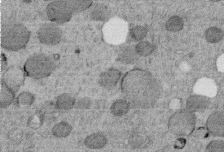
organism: C. elegans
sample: C. elegans embryo early stage